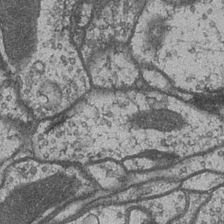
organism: Drosophila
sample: Optic medulla